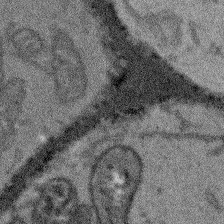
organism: Arabidopsis thaliana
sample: Root tip